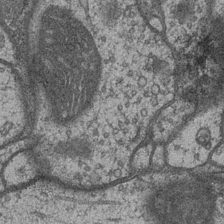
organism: Drosophila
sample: Optic medulla